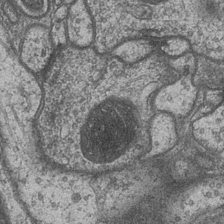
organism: Drosophila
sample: Optic medulla